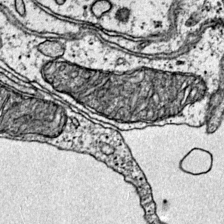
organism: Mouse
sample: Primary visual cortex